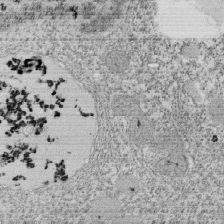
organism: Tetrahymena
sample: Cilia in tetrahymena